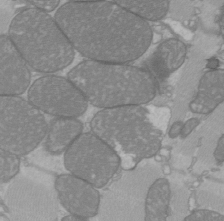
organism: C57BL Mouse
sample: Heart